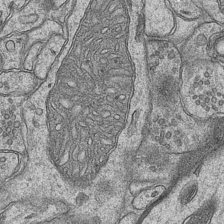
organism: Mouse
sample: CA1 Hippocampus